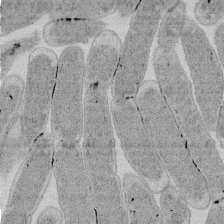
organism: E. coli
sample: Bacterial nucleoid